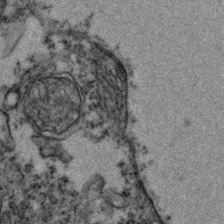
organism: Zebrafish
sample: Zebrafish embryo